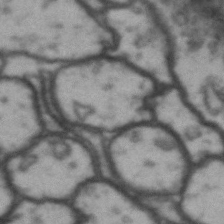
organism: Drosophila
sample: Brain